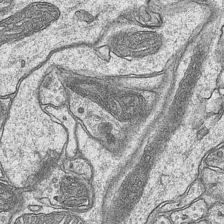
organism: Mouse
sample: CA1 Hippocampus